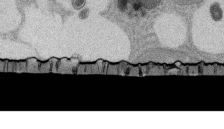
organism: Rat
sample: Salivary granule